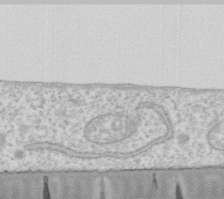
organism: Human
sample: Fibroblast cells